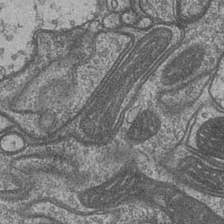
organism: Drosophila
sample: Optic medulla